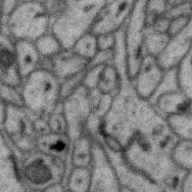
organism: Zebra finch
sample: Brain